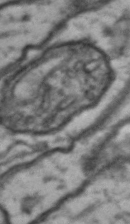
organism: Drosophila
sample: Brain